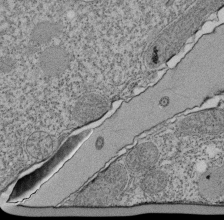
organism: Tetrahymena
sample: Cilia in tetrahymena